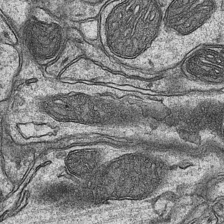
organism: Mouse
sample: CA1 Hippocampus